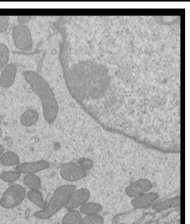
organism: Mouse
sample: Cilia; mouse epididymis